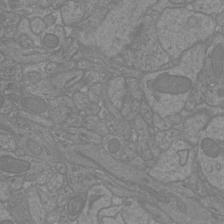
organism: Mouse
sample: Cortical neurons